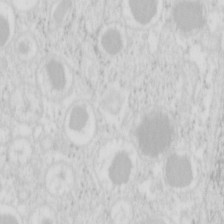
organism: Mouse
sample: Pancreas